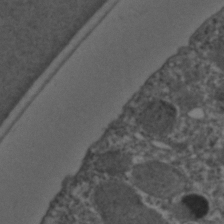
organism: C. elegans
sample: C. elegans embryo